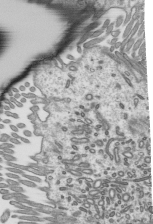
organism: Mouse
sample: Mouse epididymis efferent ductule cilia